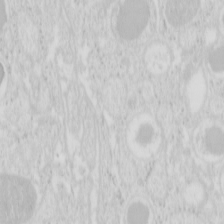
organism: Mouse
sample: Pancreas